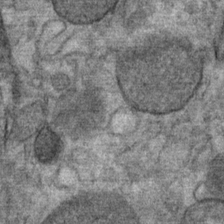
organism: Mouse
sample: Mouse Salivary gland